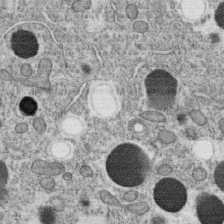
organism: C. elegans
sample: C. elegans oocyte; sperm cells